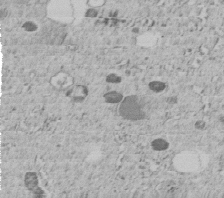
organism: C. elegans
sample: C. elegans embryo early stage